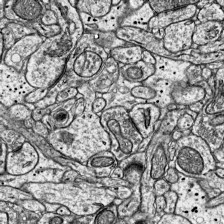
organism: Mouse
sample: Visual Cortex